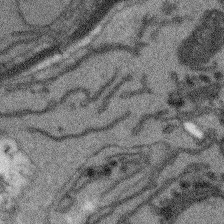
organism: Arabidopsis thaliana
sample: Root tip